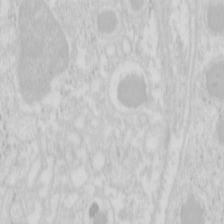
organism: Mouse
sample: Pancreas